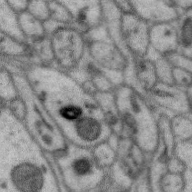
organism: Zebra finch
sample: Brain